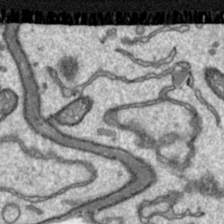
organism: Toxoplasma gondii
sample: Parasites in a vacuole inside a host cell